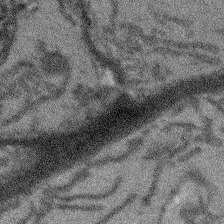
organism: Arabidopsis thaliana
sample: Root tip